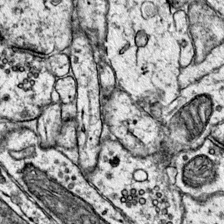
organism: Mouse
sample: Primary visual cortex